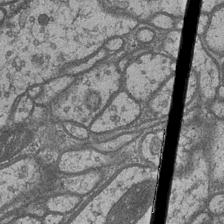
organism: Drosophila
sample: Optic medulla